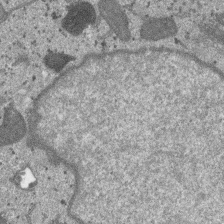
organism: Human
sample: Lung epithelial cells infected with SARS-CoV-2